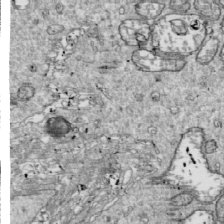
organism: Drosophila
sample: Cell division; meiosis; drosophila spermatocytes